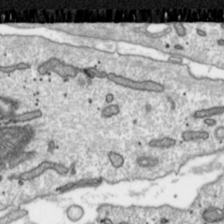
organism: Toxoplasma gondii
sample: Parasites in a vacuole inside a host cell